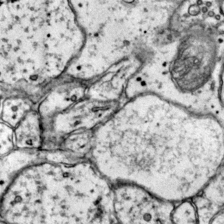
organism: Mouse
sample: Primary visual cortex